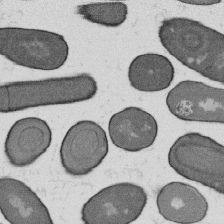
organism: B. subtilis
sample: Bacterial spore